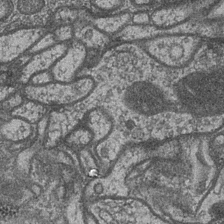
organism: Drosophila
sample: Optic medulla